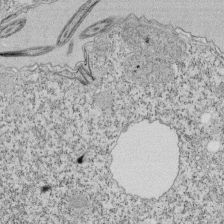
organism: Tetrahymena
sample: Cilia in tetrahymena